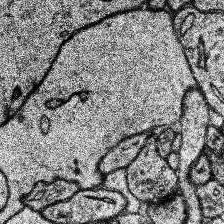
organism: Human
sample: Temporal Lobe